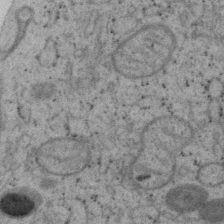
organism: Human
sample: HeLa cells